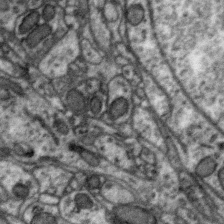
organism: Zebra finch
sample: Brain